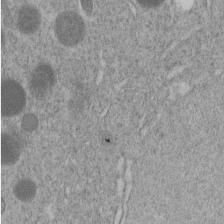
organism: C. elegans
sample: C. elegans embryo early stage